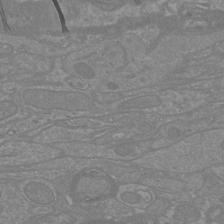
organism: Mouse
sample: Cortical neurons